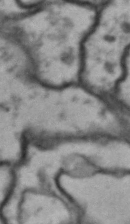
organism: Drosophila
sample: Brain